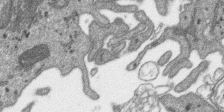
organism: Human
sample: Lung epithelial cells infected with SARS-CoV-2